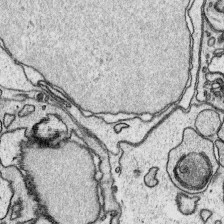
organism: Platynereis dumerilii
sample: Parapodia